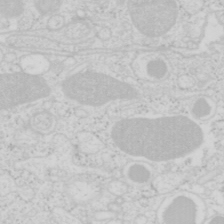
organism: Mouse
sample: Pancreas